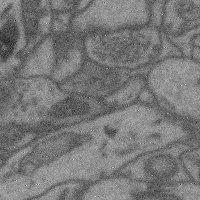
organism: Mouse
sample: Cerebral cortex